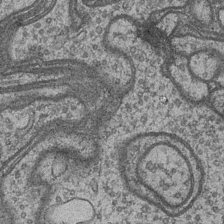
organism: Drosophila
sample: Optic medulla